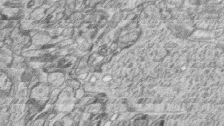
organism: Zebrafish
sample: synaptic ribbons in rod cells and cone cells